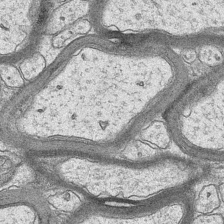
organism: Mouse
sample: CA1 Hippocampus